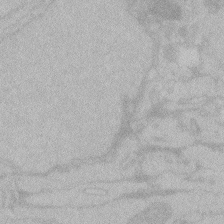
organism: Zebrafish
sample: Macrophage infected with Toxoplasma gondii